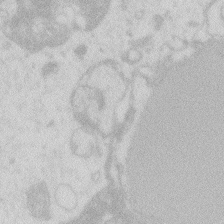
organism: Zebrafish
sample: Macrophage